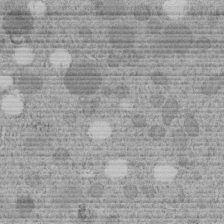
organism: C. elegans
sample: C. elegans embryo early stage